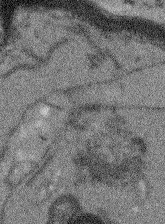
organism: Arabidopsis thaliana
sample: Root tip